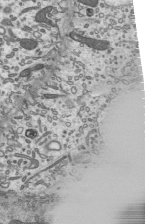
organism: Mouse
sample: Mouse epididymis efferent ductule cilia